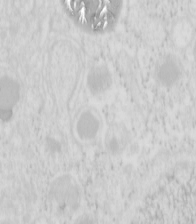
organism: Mouse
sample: Pancreas